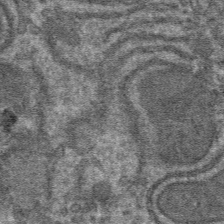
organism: Mouse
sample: Mouse hepatocytes